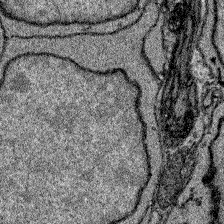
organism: Zebrafish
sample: Larval olfactory bulb